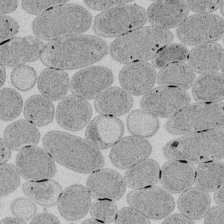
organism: E. coli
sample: Bacterial nucleoid